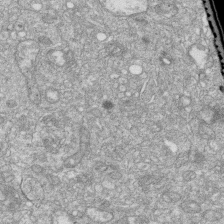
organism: Human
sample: HeLa cell HIV synapse